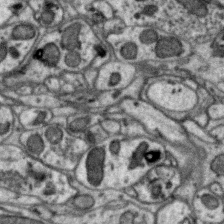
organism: Zebra finch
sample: Brain